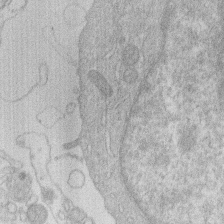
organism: Human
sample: Macrophage cells